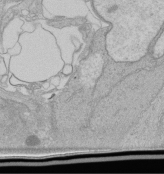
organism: Human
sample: Retinal organoid Rod and Cone cells